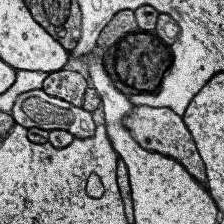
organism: Human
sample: Temporal Lobe